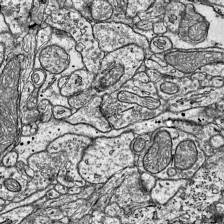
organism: Mouse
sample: Visual Cortex